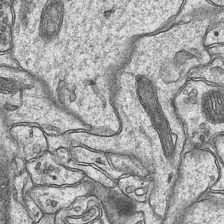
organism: Mouse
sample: CA1 Hippocampus